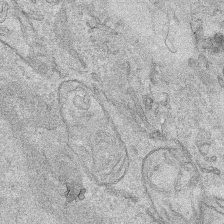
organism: Human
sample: Mitochondria in HCT116 cells